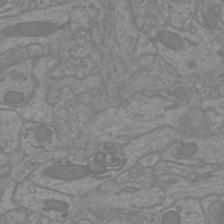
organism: Mouse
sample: Cortical neurons